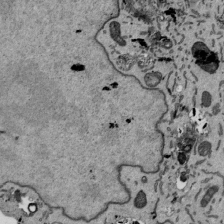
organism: Mouse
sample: ED-1 cell nuclei; centrioles